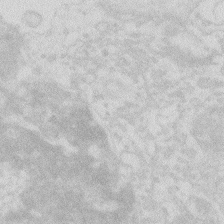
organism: Zebrafish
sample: Macrophage